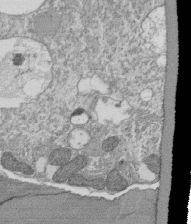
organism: Tetrahymena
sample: Cilia in tetrahymena